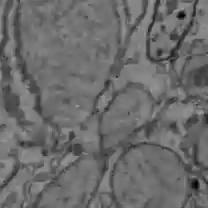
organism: C57BL Mouse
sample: Liver